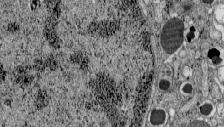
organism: C57BL Mouse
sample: Pancreatic islet